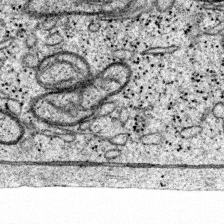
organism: Human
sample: HeLa cells